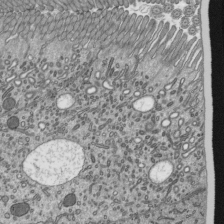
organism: Mouse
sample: Mouse epididymis efferent ductule cilia